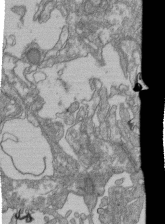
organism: Human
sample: Retinal organoid Rod and Cone cells